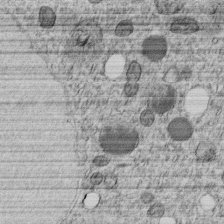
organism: C. elegans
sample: C. elegans embryo early stage